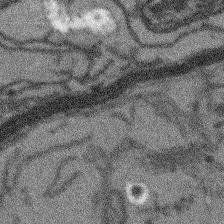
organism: Arabidopsis thaliana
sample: Root tip